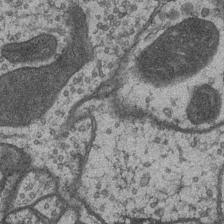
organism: Drosophila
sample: Optic medulla